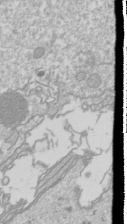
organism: Drosophila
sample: Cell division; meiosis; drosophila spermatocytes